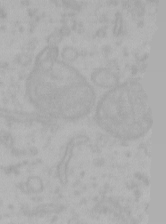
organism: Mouse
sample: Choroid plexus